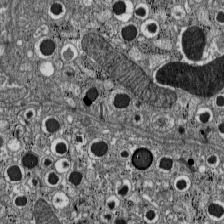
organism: C57BL Mouse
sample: Pancreatic islet